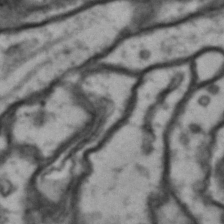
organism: Drosophila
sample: Brain